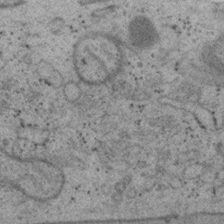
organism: Human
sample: HeLa cells